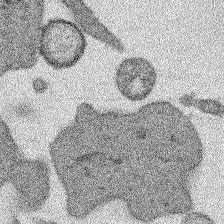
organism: Human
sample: HeLa cells